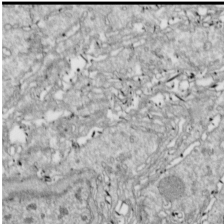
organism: Drosophila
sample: Cell division; meiosis; drosophila spermatocytes